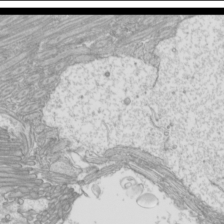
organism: Mouse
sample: Cilia; mouse epididymis